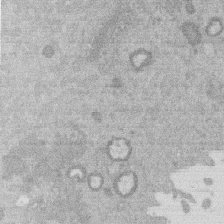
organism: Mouse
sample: Dividing mouse embryo 1 cell stage